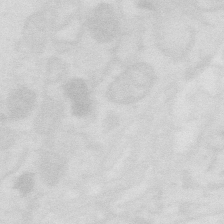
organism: Human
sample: HeLa cells